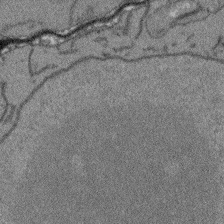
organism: Arabidopsis thaliana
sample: Root tip